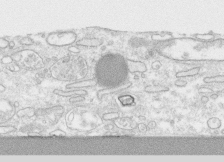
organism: Human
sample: CRL-1474